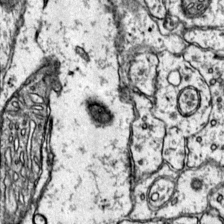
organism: Mouse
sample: Primary visual cortex